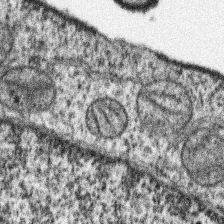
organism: Human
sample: HeLa cells